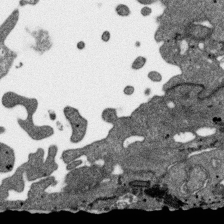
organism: Human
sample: Lung epithelial cells, uninfected (mock) control